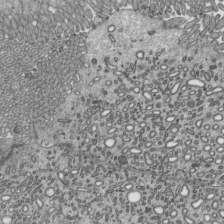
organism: Mouse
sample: Mouse epididymis efferent ductule cilia